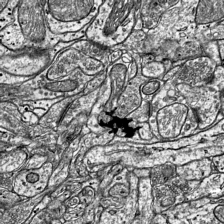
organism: Mouse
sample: Visual Cortex